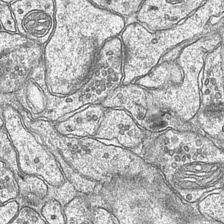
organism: Mouse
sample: CA1 Hippocampus